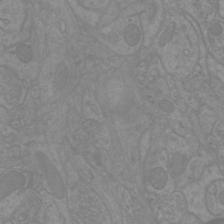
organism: Mouse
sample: Cortical neurons